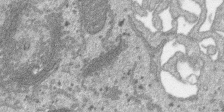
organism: Human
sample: Lung epithelial cells infected with SARS-CoV-2